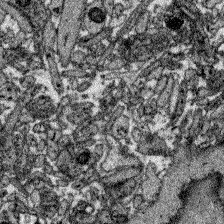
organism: Zebrafish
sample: Larval olfactory bulb